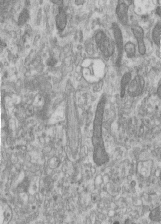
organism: Human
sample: Centriole in RPE cells